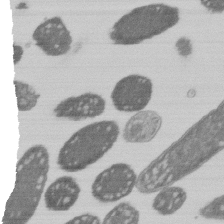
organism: E. coli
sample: Bacterial nucleoid